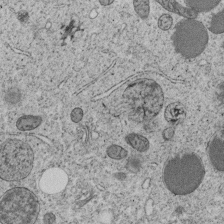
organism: C. elegans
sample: C. elegans embryo early stage